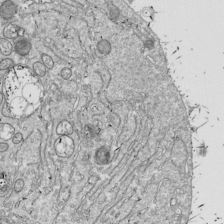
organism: Drosophila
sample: Cell division; meiosis; drosophila spermatocytes